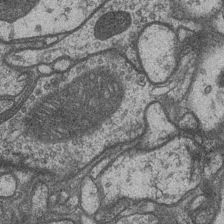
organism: Drosophila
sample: Optic medulla